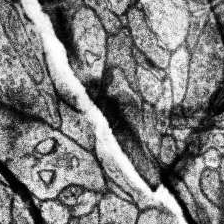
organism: Human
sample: Temporal Lobe